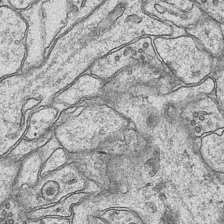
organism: Mouse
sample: CA1 Hippocampus